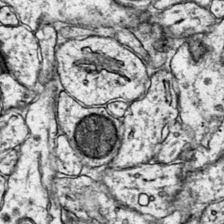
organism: Mouse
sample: Primary visual cortex